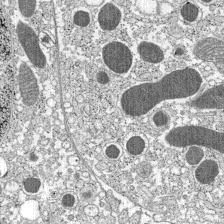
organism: C57BL Mouse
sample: Pancreatic islet